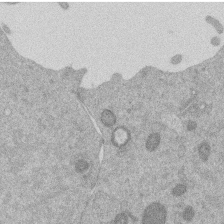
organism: Mouse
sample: Dividing mouse embryo 1 cell stage